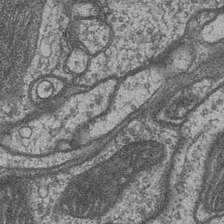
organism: Drosophila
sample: Optic medulla